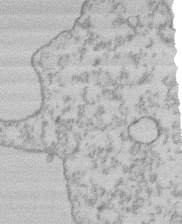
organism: Mouse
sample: T cell stromal cell synapse